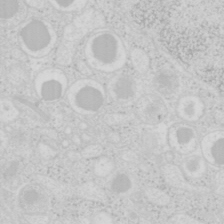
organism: Mouse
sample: Pancreas